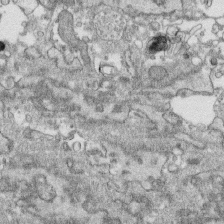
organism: Human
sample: CRL-1474